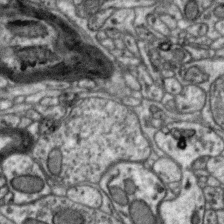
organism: Zebra finch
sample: Brain